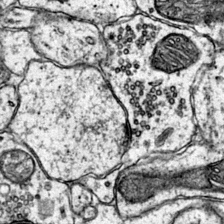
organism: Mouse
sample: Primary visual cortex